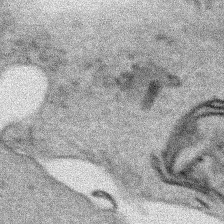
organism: Human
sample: Mitochondria in HCT116 cells